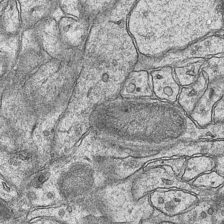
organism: Mouse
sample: CA1 Hippocampus